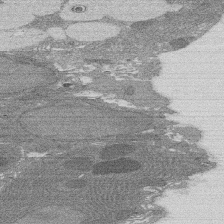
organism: Rat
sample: Salivary granule